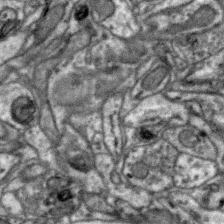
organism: Zebra finch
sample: Brain